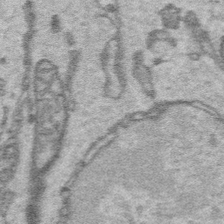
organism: Platynereis dumerilii